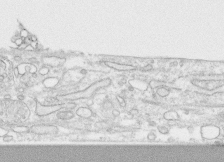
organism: Human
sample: CRL-1474